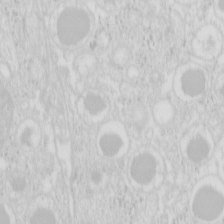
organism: Mouse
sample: Pancreas